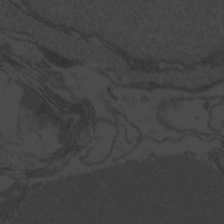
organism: Zebrafish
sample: Macrophage infected with Toxoplasma gondii